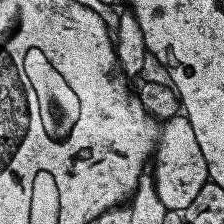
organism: Human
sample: Temporal Lobe